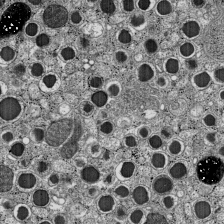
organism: C57BL Mouse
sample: Pancreatic islet